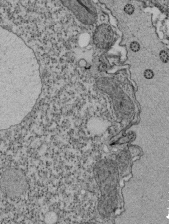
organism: Tetrahymena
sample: Cilia in tetrahymena